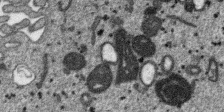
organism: Human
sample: Lung epithelial cells infected with SARS-CoV-2